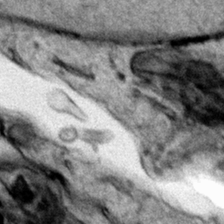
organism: Human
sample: Mitochondria in HCT116 cells